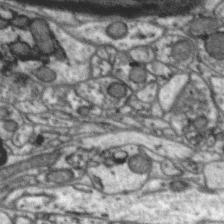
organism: Zebra finch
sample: Brain